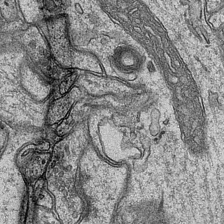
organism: Mouse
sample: CA1 Hippocampus